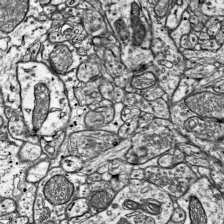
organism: Mouse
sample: Visual Cortex